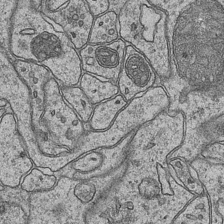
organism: Mouse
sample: CA1 Hippocampus